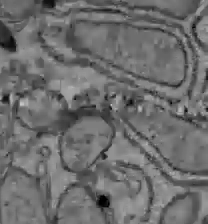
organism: C57BL Mouse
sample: Liver